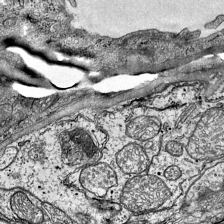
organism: Mouse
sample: Visual Cortex